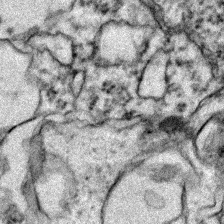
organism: Zebrafish